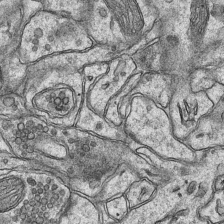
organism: Mouse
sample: CA1 Hippocampus